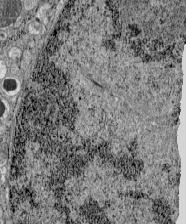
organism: C57BL Mouse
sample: Pancreatic islet